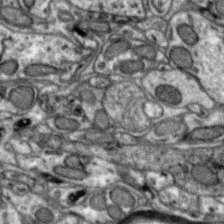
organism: Zebra finch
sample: Brain